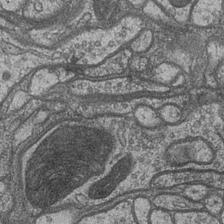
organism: Drosophila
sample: Optic medulla